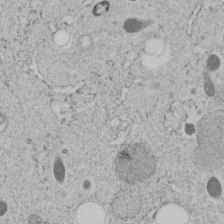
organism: C. elegans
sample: C. elegans embryo early stage